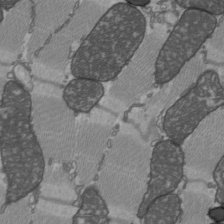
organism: C57BL Mouse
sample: Heart